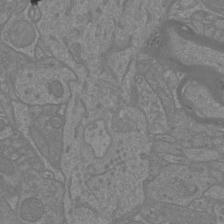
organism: Mouse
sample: Cortical neurons